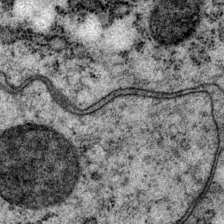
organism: P. pacificus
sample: Pharynx